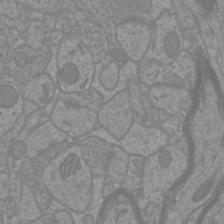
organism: Mouse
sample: Cortical neurons